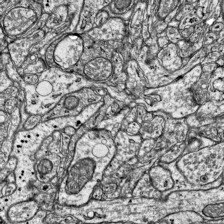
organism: Mouse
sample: Visual Cortex